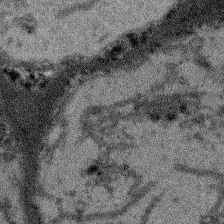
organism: Arabidopsis thaliana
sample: Root tip